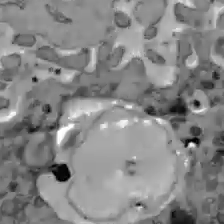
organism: C57BL Mouse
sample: Liver